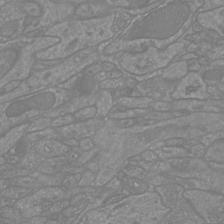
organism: Mouse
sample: Cortical neurons